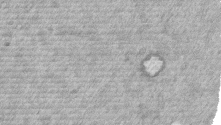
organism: Mouse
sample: Dividing mouse embryo 1 cell stage